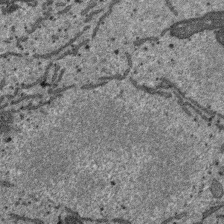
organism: Human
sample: Lung epithelial cells infected with SARS-CoV-2